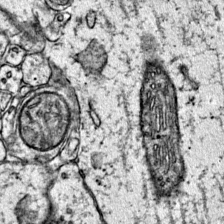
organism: Mouse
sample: Primary visual cortex